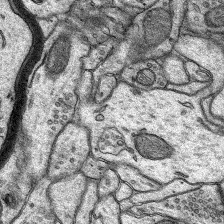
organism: Rat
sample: Hippocampus